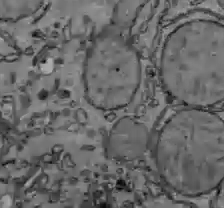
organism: C57BL Mouse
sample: Liver